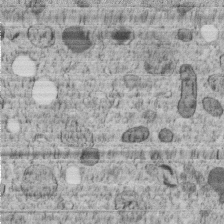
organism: C. elegans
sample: C. elegans embryo early stage